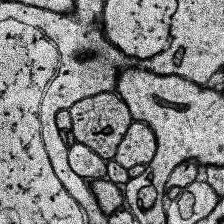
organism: Human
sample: Temporal Lobe